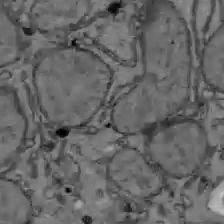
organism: C57BL Mouse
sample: Liver